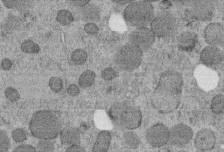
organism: C. elegans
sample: C. elegans embryo early stage